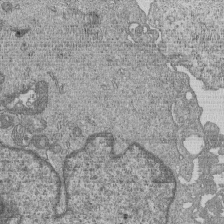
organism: Human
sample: MDA-MB-231 cells